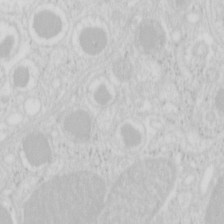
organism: Mouse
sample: Pancreas